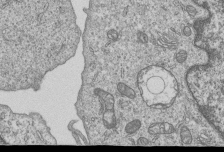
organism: Human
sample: MDA-MB-231 cells